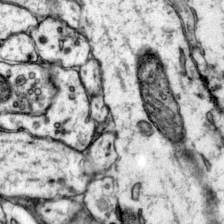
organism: Mouse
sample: Primary visual cortex